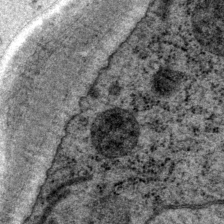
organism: P. pacificus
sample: Pharynx